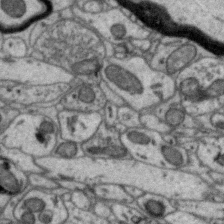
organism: Zebra finch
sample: Brain